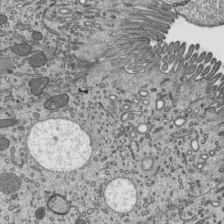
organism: Mouse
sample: Mouse epididymis efferent ductule cilia